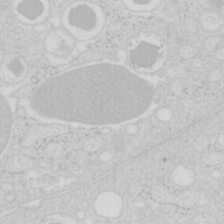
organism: Mouse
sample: Pancreas